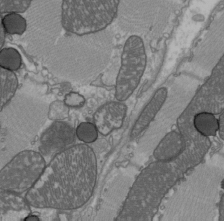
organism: C57BL Mouse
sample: Heart